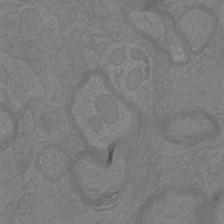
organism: Mouse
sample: Cortical neurons